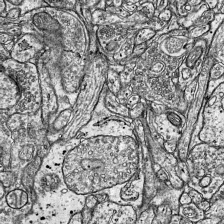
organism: Mouse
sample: Visual Cortex